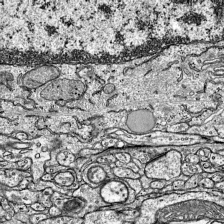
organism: Mouse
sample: Visual Cortex